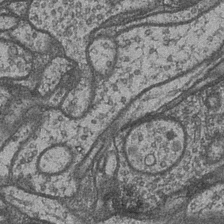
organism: Drosophila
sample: Optic medulla